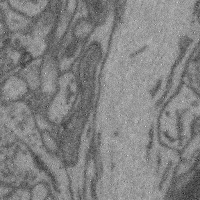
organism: Mouse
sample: Cerebral cortex